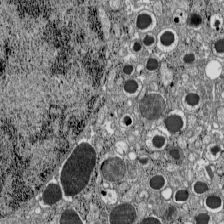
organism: C57BL Mouse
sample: Pancreatic islet